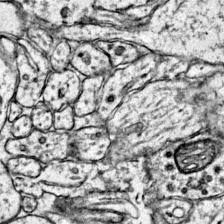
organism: Mouse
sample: Primary visual cortex